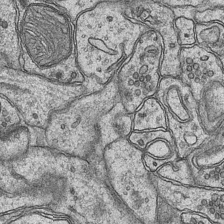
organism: Mouse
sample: CA1 Hippocampus